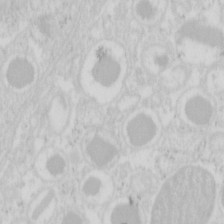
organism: Mouse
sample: Pancreas